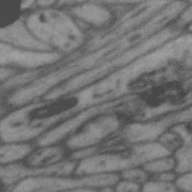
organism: Zebra finch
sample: Brain